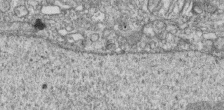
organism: Human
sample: HeLa cell HIV synapse